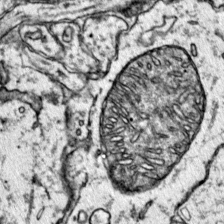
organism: Mouse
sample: Primary visual cortex